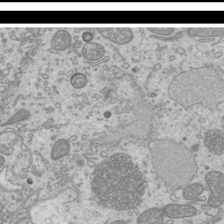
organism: Mouse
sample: Cilia; mouse epididymis